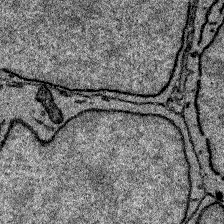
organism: Zebrafish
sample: Larval olfactory bulb